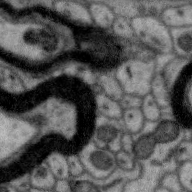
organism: Zebra finch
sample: Brain